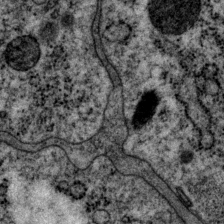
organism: P. pacificus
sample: Pharynx